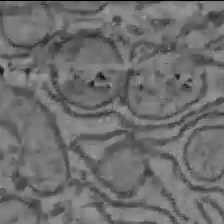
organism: C57BL Mouse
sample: Liver